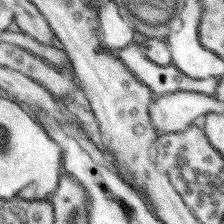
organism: Mouse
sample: Somatosensory cortex neuropil